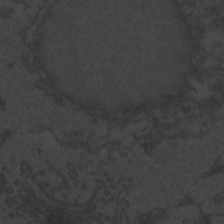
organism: Zebrafish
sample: Macrophage infected with Toxoplasma gondii